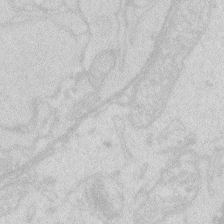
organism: Zebrafish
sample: Macrophage